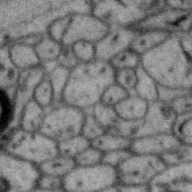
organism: Zebra finch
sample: Brain